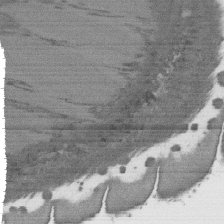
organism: C. elegans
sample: AFD neurons C. elegans